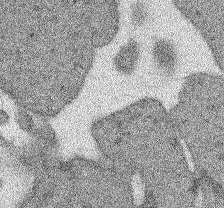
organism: Human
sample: HeLa cells